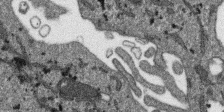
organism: Human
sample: Lung epithelial cells infected with SARS-CoV-2